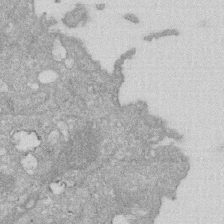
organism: Human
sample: HIV infected U937 cells